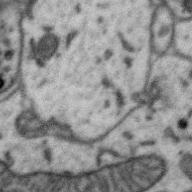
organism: Zebra finch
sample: Brain